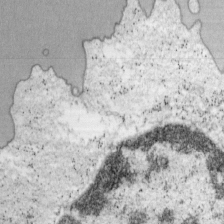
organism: Mouse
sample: OT-I killer T cells with ID8 ovarian cancer cells